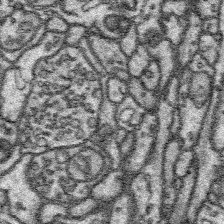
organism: Platynereis dumerilii